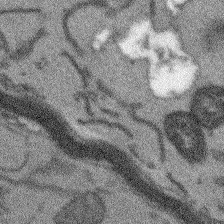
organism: Arabidopsis thaliana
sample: Root tip